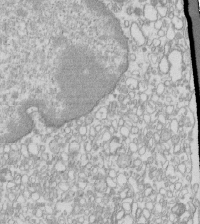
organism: Mouse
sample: Macrophages